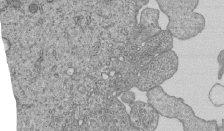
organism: Human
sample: MDA-MB-231 cells